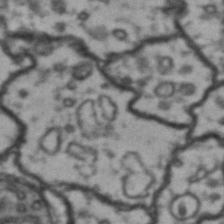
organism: Drosophila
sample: Brain